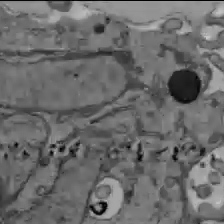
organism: C57BL Mouse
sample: Liver